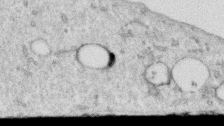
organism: Human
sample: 1205lu cells